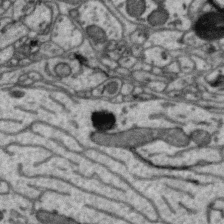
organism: Zebra finch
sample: Brain